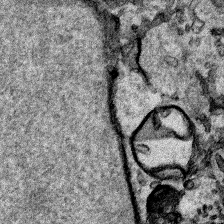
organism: Human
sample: Mitochondria in HCT116 cells